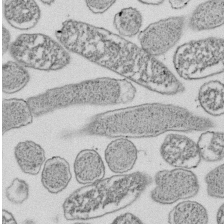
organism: E. coli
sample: Bacterial nucleoid